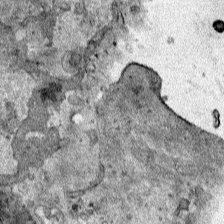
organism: Human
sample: Mitochondria in HCT116 cells